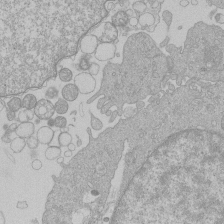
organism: Human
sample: Macrophage cells